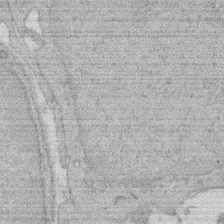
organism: Rat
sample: Salivary granule